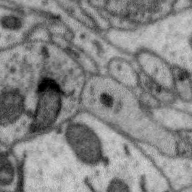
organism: Zebra finch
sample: Brain